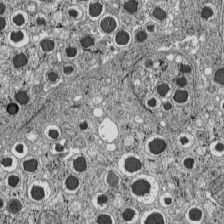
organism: C57BL Mouse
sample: Pancreatic islet